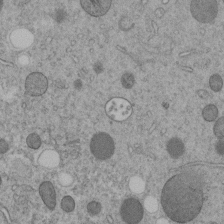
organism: C. elegans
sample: C. elegans embryo early stage